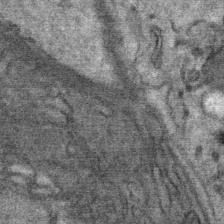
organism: Mouse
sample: Mouse Salivary gland